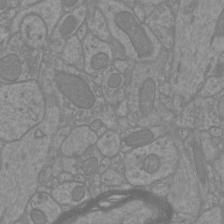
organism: Mouse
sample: Cortical neurons